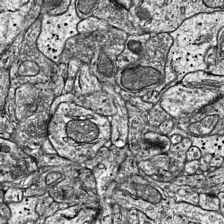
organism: Mouse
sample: Visual Cortex